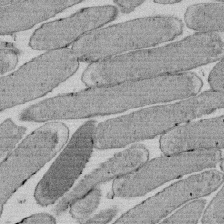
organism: E. coli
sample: Bacterial nucleoid